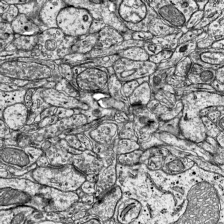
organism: Mouse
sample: Visual Cortex